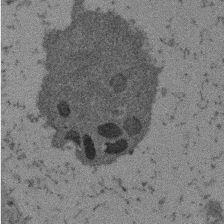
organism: Mouse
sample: Dividing mouse embryo 1 cell stage